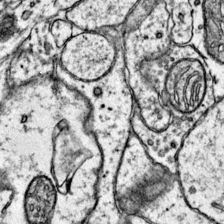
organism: Mouse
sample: Primary visual cortex